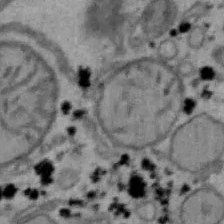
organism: Mouse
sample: Liver